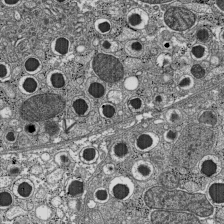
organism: C57BL Mouse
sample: Pancreatic islet